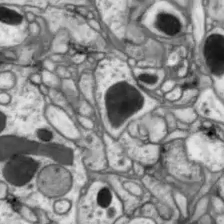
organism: Drosophila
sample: Optic lobe